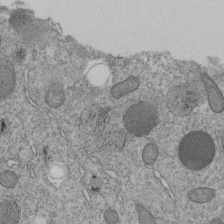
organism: C. elegans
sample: C. elegans embryo early stage